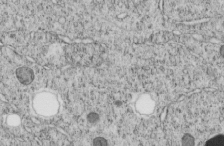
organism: C. elegans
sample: C. elegans embryo early stage